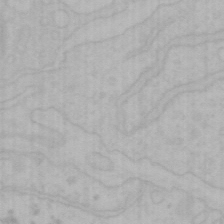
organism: Mouse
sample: Choroid plexus